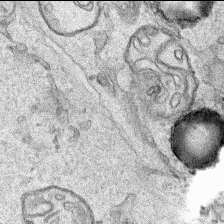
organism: Human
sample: Mitochondria in HCT116 cells